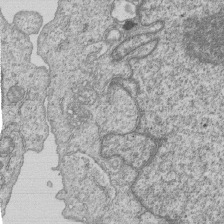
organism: Human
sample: MDA-MB-231 cells